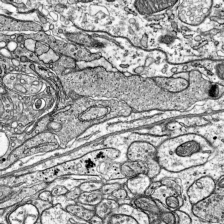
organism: Mouse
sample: Visual Cortex